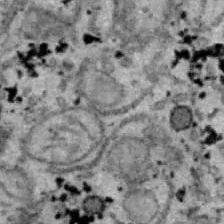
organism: Mouse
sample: Liver from an obese (ob/ob) mouse